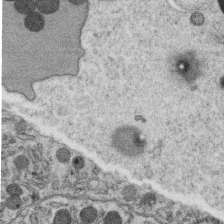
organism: C. elegans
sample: C. elegans oocyte; sperm cells